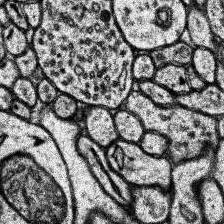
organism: Human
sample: Temporal Lobe